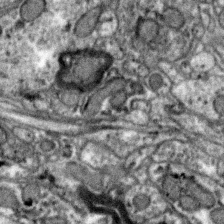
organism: Zebra finch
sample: Brain